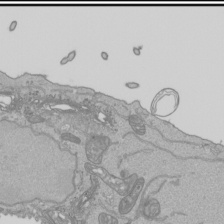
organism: Human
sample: Mitochondria in HCT116 cells